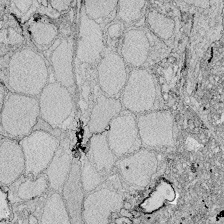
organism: Zebrafish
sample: Whole-Brain